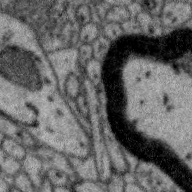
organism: Zebra finch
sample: Brain